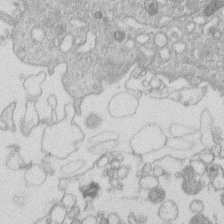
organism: Human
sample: Macrophage cells